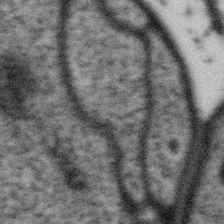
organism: Gemmata obscuriglobus